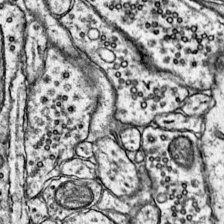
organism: Mouse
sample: Primary visual cortex